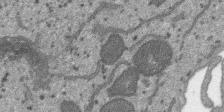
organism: Human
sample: Lung epithelial cells infected with SARS-CoV-2